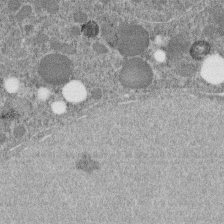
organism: C. elegans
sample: C. elegans embryo early stage